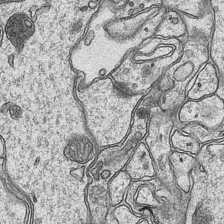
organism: Mouse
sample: CA1 Hippocampus